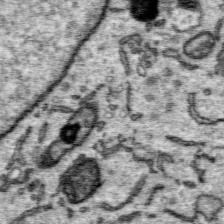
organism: Human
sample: HeLa cells